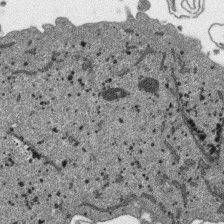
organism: Human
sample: Lung epithelial cells infected with SARS-CoV-2